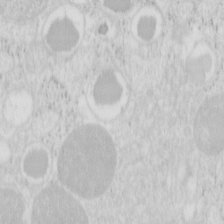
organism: Mouse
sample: Pancreas